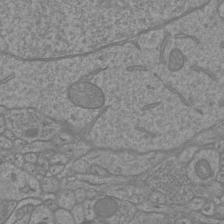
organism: Mouse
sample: Cortical neurons